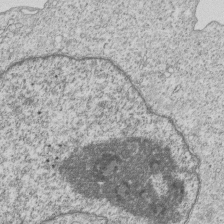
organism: Human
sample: MDA-MB-231 cells